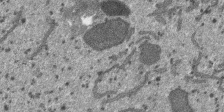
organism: Human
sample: Lung epithelial cells infected with SARS-CoV-2